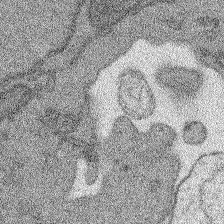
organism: Human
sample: HeLa cells